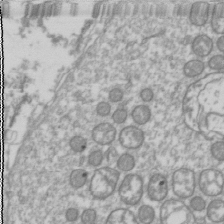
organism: Drosophila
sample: Cell division; meiosis; drosophila spermatocytes